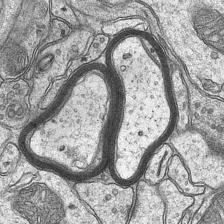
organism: Mouse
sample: CA1 Hippocampus